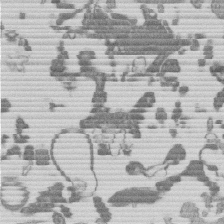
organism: Mouse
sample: Dividing mouse embryo 1 cell stage